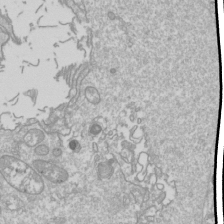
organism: Drosophila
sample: Cell division; meiosis; drosophila spermatocytes